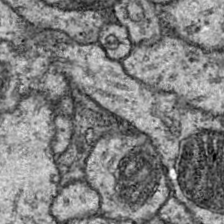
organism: Drosophila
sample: Ventral Nerve Cord